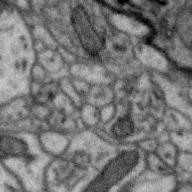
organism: Zebra finch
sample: Brain